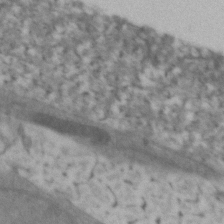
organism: Zebrafish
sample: Zebrafish embryo